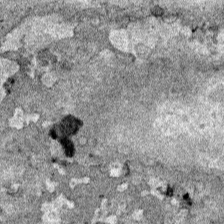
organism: Human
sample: Mitochondria in HCT116 cells